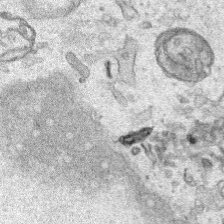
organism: Human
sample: Mitochondria in HCT116 cells